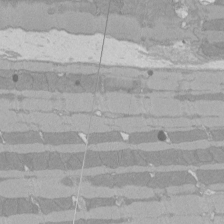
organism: Rat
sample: Left ventricle